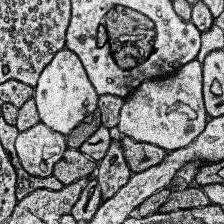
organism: Human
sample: Temporal Lobe